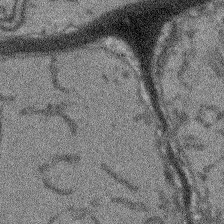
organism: Arabidopsis thaliana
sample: Root tip